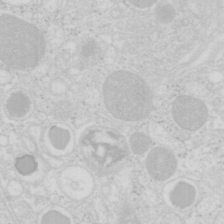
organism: Mouse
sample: Pancreas